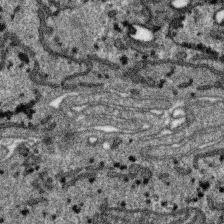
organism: Human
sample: Lung epithelial cells infected with SARS-CoV-2